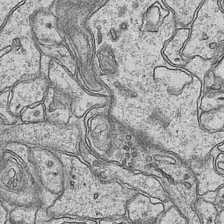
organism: Mouse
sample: CA1 Hippocampus